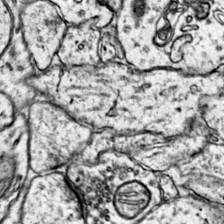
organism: Mouse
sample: Primary visual cortex